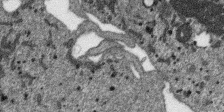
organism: Human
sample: Lung epithelial cells infected with SARS-CoV-2